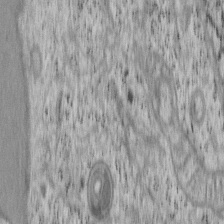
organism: Human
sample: HeLa cells